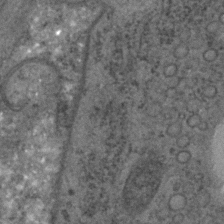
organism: C. elegans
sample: C. elegans embryo